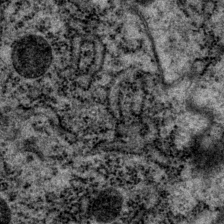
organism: P. pacificus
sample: Pharynx